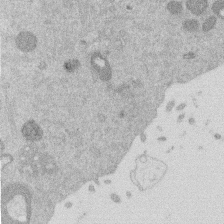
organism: Mouse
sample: Dividing mouse embryo 1 cell stage